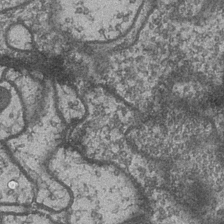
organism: Drosophila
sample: Optic medulla